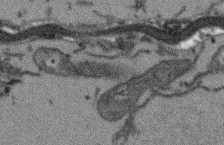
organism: Arabidopsis thaliana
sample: Root tip